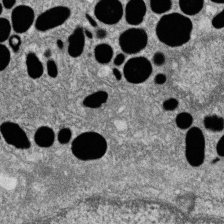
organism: Zebrafish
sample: Cilia; retinal pigment epithelium